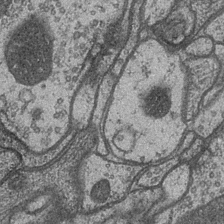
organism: Drosophila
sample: Optic medulla